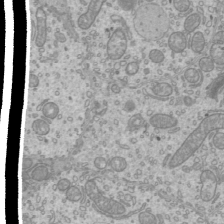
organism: Mouse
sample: Cilia; mouse epididymis